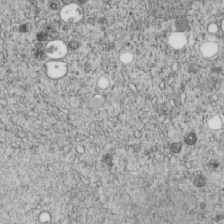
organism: C. elegans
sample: C. elegans embryo early stage